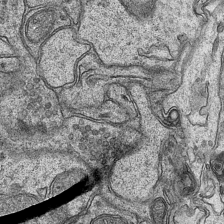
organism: Mouse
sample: CA1 Hippocampus